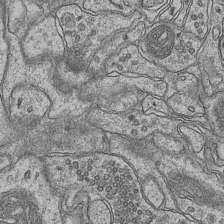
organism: Mouse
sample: CA1 Hippocampus